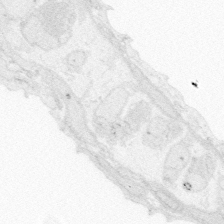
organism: Zebrafish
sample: Whole-Brain